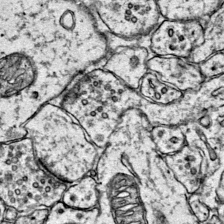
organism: Mouse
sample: Primary visual cortex